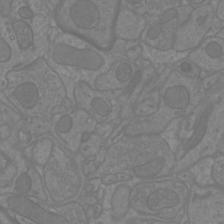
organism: Mouse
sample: Cortical neurons